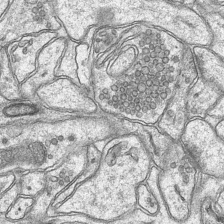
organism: Mouse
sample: CA1 Hippocampus